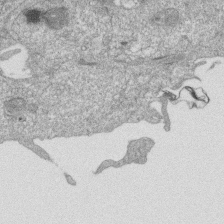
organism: Human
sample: HeLa cell HIV synapse